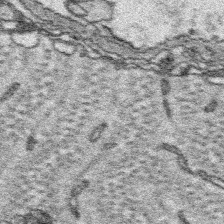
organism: Platynereis dumerilii